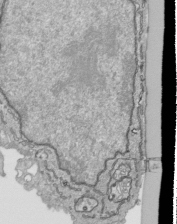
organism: Human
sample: Mitochondria in HCT116 cells